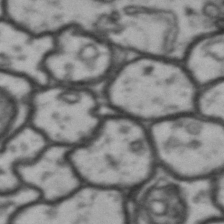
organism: Drosophila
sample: Brain